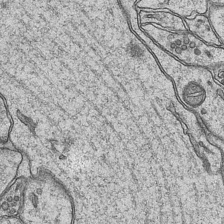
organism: Mouse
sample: CA1 Hippocampus